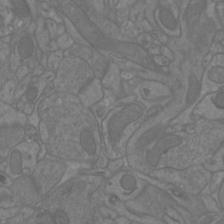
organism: Mouse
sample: Cortical neurons